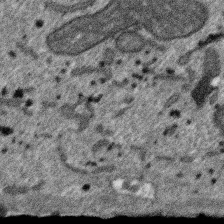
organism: Human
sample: Lung epithelial cells infected with SARS-CoV-2